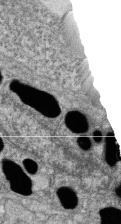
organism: Zebrafish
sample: Cilia; retinal pigment epithelium